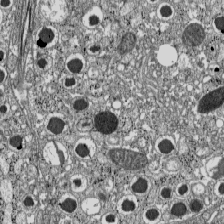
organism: C57BL Mouse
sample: Pancreatic islet